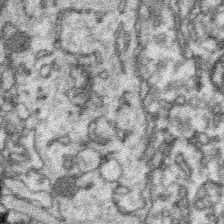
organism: Platynereis dumerilii